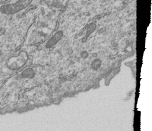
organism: Human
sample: MDA-MB-231 cells